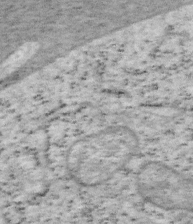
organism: Mouse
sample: OT-I killer T cells with ID8 ovarian cancer cells